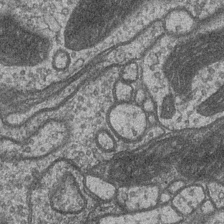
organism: Drosophila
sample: Optic medulla